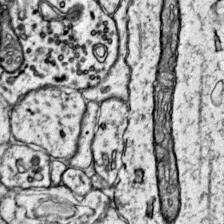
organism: Mouse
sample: Primary visual cortex